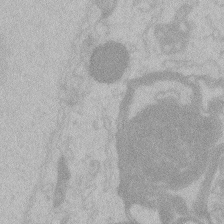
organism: Zebrafish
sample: Macrophage infected with Toxoplasma gondii